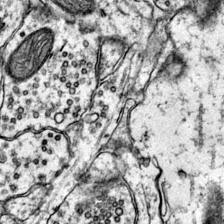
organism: Mouse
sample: Primary visual cortex